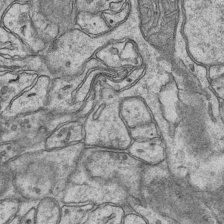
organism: Mouse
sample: CA1 Hippocampus